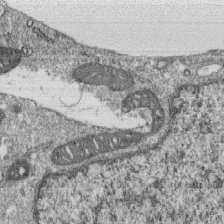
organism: African green monkey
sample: Vero E6 cells infected with SARS-CoV-2